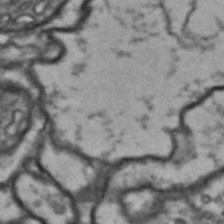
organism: Drosophila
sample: Brain